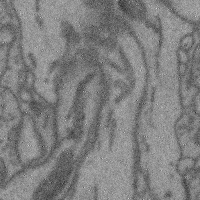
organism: Mouse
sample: Cerebral cortex